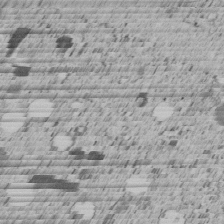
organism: C. elegans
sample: C. elegans embryo early stage